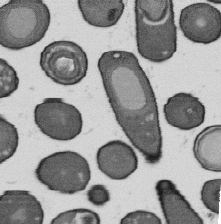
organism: B. subtilis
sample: Bacterial spore